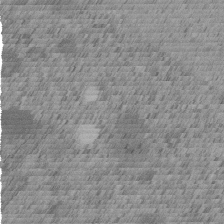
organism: C. elegans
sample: C. elegans embryo early stage